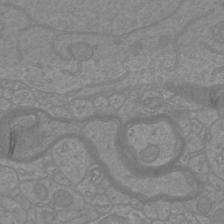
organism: Mouse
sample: Cortical neurons